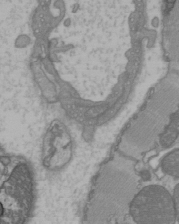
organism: C57BL Mouse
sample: Heart